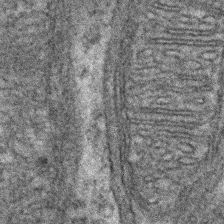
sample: Kidney